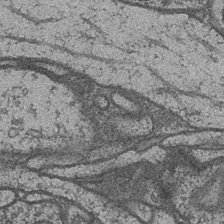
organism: Drosophila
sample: Optic medulla